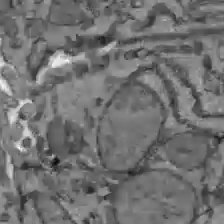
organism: C57BL Mouse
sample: Liver